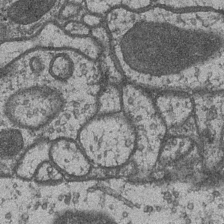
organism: Drosophila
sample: Optic medulla